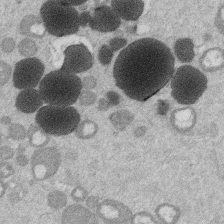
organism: Mouse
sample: Dividing mouse embryo 1 cell stage